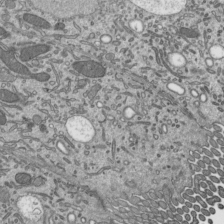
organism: Mouse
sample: Mouse epididymis efferent ductule cilia